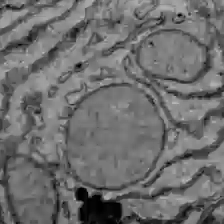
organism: C57BL Mouse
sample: Liver